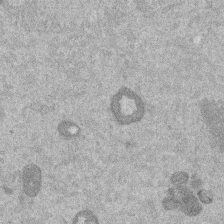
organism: Mouse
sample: Dividing mouse embryo 1 cell stage